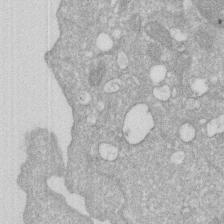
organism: Human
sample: HIV infected U937 cells